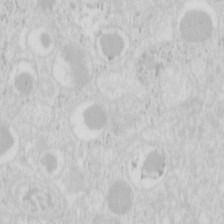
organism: Mouse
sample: Pancreas